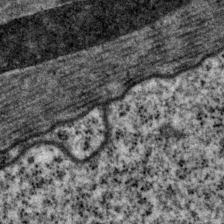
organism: P. pacificus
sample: Pharynx